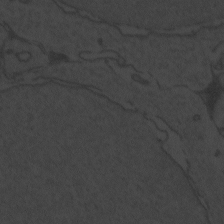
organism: Zebrafish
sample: Macrophage infected with Toxoplasma gondii